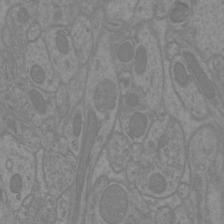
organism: Mouse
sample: Cortical neurons